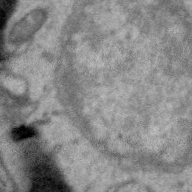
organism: Zebra finch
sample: Brain